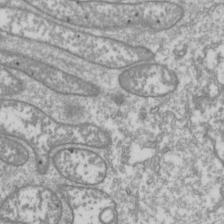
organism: Drosophila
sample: Cell division; meiosis; drosophila spermatocytes